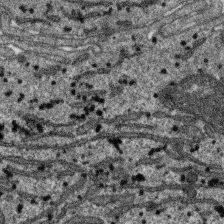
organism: Human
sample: Lung epithelial cells infected with SARS-CoV-2